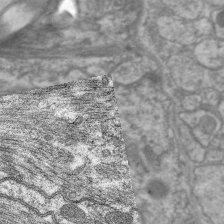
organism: C. elegans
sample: Pharynx